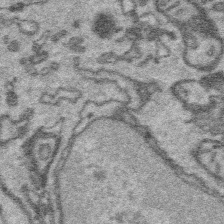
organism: Platynereis dumerilii